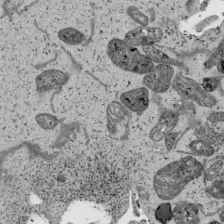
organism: Human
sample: Mitochondria in HCT116 cells